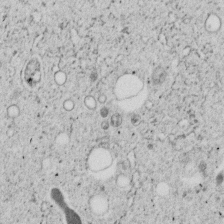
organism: C. elegans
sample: C. elegans embryo early stage